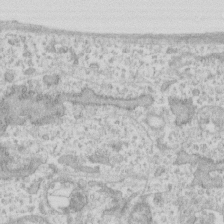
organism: Human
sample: Fibroblast cells